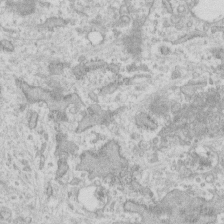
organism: Human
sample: Fibroblast cells